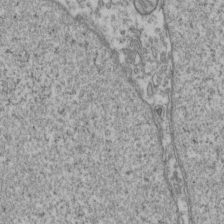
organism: Human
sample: Activated Jurkat CD4+ T cells